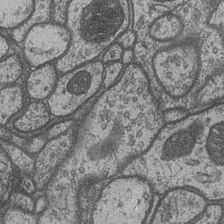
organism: Drosophila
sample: Optic medulla